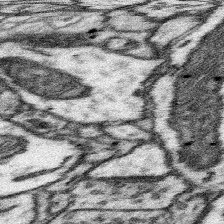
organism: Mouse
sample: Somatosensory cortex neuropil